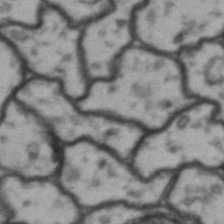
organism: Drosophila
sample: Brain